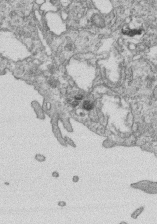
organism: Human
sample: HeLa cell HIV synapse